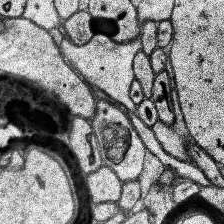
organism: Human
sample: Temporal Lobe